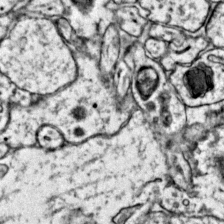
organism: Mouse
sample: Primary visual cortex